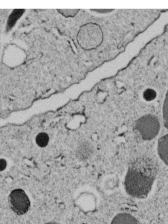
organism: C. elegans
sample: C. elegans embryo early stage